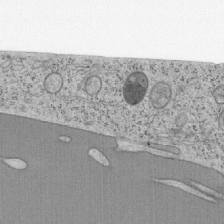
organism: Human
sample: HeLa cells